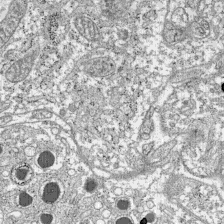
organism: C57BL Mouse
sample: Pancreatic islet